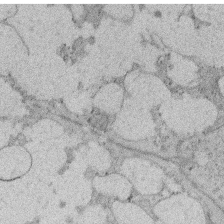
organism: Rat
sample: Salivary granule